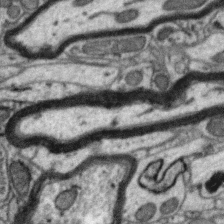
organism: Zebra finch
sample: Brain